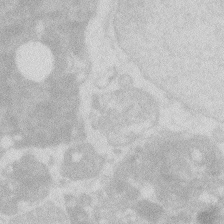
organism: Zebrafish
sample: Macrophage